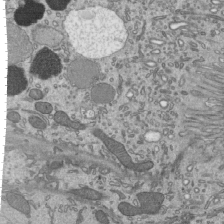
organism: Mouse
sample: Mouse epididymis efferent ductule cilia